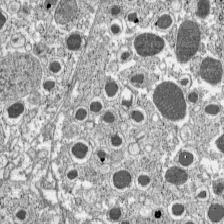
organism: C57BL Mouse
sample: Pancreatic islet